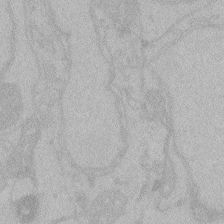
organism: Zebrafish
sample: Macrophage infected with Toxoplasma gondii